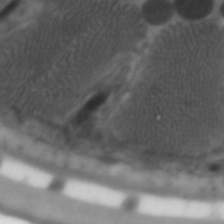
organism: C. elegans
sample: Pharynx